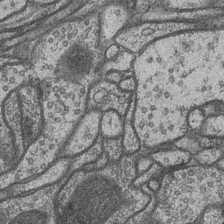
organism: Drosophila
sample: Optic medulla